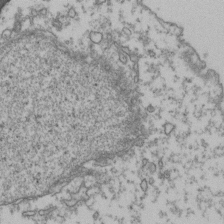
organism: Human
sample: Activated Jurkat CD4+ T cells